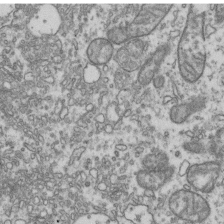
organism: Human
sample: Activated Jurkat CD4+ T cells